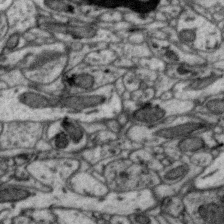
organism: Zebra finch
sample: Brain